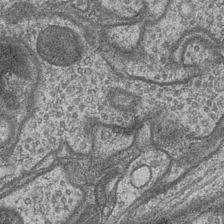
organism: Drosophila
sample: Optic medulla